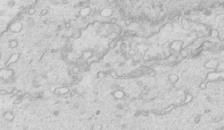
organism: Mouse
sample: Multiciliated cells